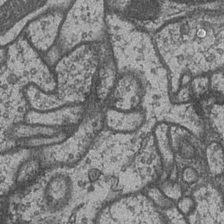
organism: Drosophila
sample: Optic medulla